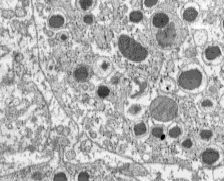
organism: C57BL Mouse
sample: Pancreatic islet